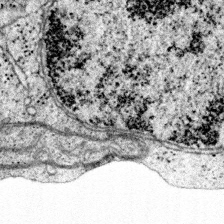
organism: Human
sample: HeLa cells